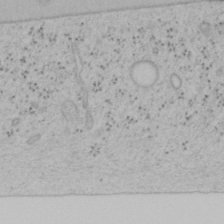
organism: Human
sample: HeLa cells